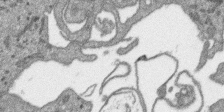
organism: Human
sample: Lung epithelial cells infected with SARS-CoV-2